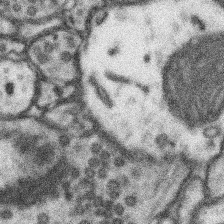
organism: Mouse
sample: Somatosensory cortex neuropil